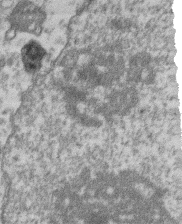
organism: Mouse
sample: T cell stromal cell synapse